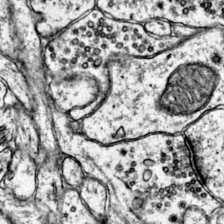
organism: Mouse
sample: Primary visual cortex